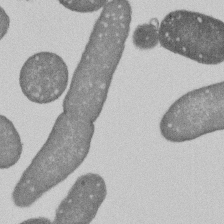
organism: E. coli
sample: Bacterial nucleoid